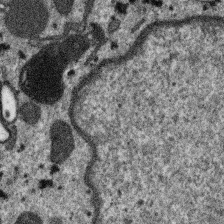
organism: Human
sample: Lung epithelial cells infected with SARS-CoV-2